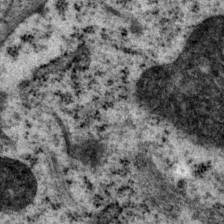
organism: P. pacificus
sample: Pharynx